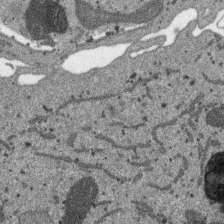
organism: Human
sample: Lung epithelial cells infected with SARS-CoV-2